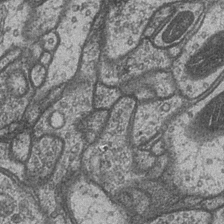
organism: Drosophila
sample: Optic medulla